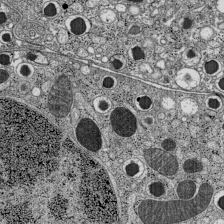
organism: C57BL Mouse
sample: Pancreatic islet